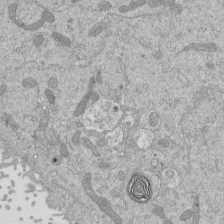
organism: Mouse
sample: ED-1 cell nuclei; centrioles